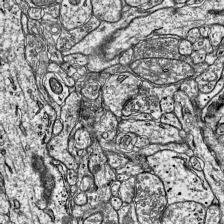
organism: Mouse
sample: Visual Cortex